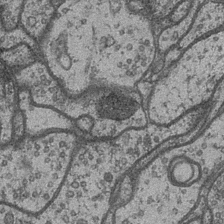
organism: Drosophila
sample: Optic medulla